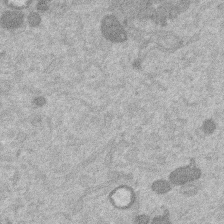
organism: Mouse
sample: Dividing mouse embryo 1 cell stage